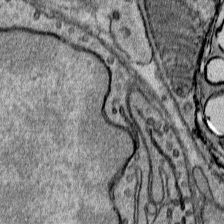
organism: Mouse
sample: Mouse Salivary gland